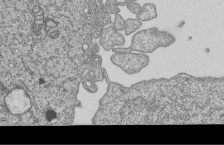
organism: Human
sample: MDA-MB-231 cells